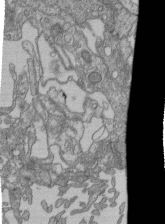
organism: Human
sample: Retinal organoid Rod and Cone cells